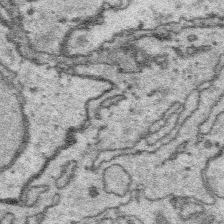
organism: Platynereis dumerilii